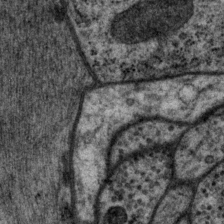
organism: P. pacificus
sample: Pharynx